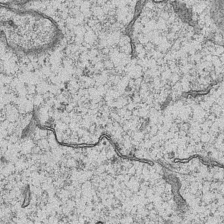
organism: Mouse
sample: CA1 Hippocampus